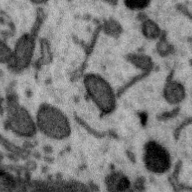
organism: Zebra finch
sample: Brain